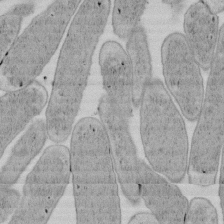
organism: E. coli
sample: Bacterial nucleoid